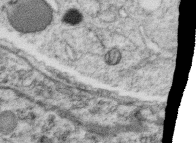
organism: C. elegans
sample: C. elegans oocyte; sperm cells